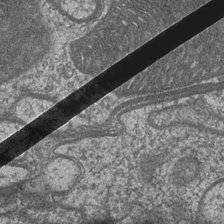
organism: Drosophila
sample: Optic medulla